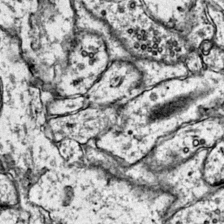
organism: Mouse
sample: Primary visual cortex